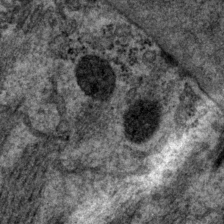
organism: P. pacificus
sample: Pharynx